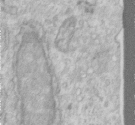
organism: Human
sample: Centriole in RPE cells